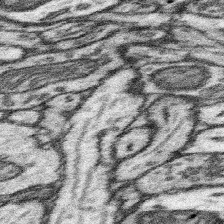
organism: Mouse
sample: Somatosensory cortex neuropil